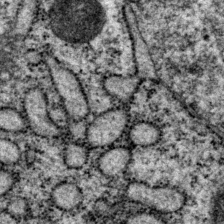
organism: P. pacificus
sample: Pharynx